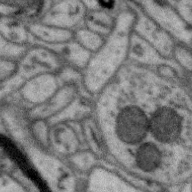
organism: Zebra finch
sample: Brain